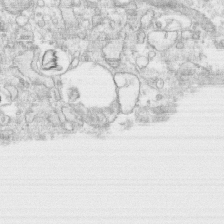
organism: Human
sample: CRL-1474